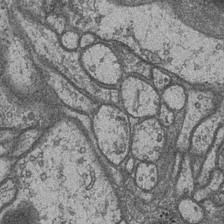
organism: Drosophila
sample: Optic medulla